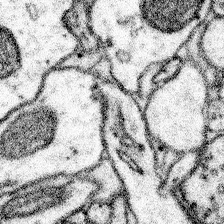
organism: Mouse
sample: Somatosensory cortex neuropil